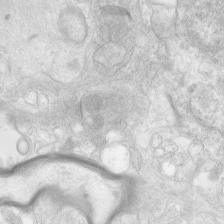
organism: Human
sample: Neocortex